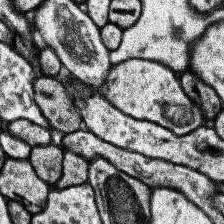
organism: Human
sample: Temporal Lobe